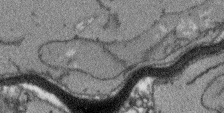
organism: Arabidopsis thaliana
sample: Root tip